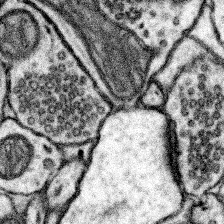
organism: Mouse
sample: Somatosensory cortex neuropil